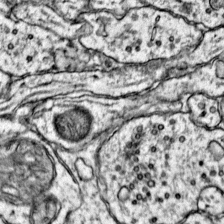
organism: Mouse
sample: Primary visual cortex